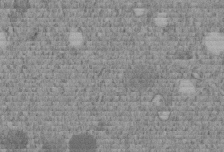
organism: C. elegans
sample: C. elegans embryo early stage